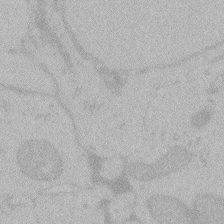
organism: Zebrafish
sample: Macrophage infected with Toxoplasma gondii